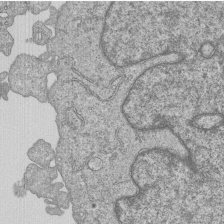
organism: Human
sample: MDA-MB-231 cells